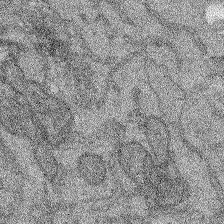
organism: Human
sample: HeLa cells